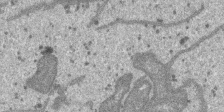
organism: Human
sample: Lung epithelial cells infected with SARS-CoV-2